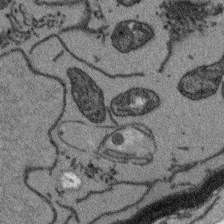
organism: Arabidopsis thaliana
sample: Root tip